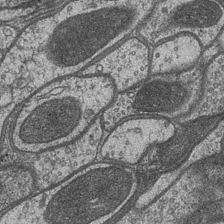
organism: Drosophila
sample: Optic medulla